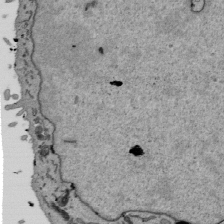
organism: Mouse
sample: ED-1 cell nuclei; centrioles